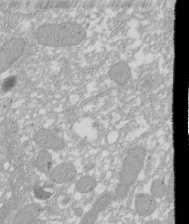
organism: Xenopus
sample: Cilia; centrioles in frog embryo cells